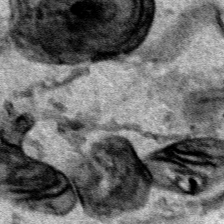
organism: Human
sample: Mitochondria in HCT116 cells